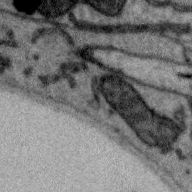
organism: Zebra finch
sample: Brain